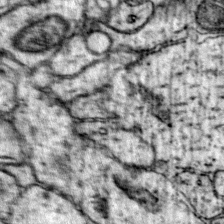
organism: Mouse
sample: Primary visual cortex